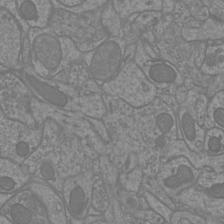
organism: Mouse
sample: Cortical neurons